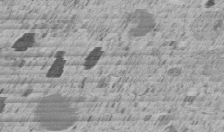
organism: C. elegans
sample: C. elegans embryo early stage